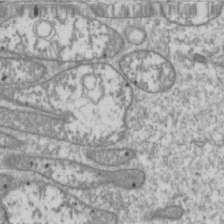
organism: Drosophila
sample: Cell division; meiosis; drosophila spermatocytes